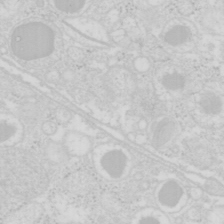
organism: Mouse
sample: Pancreas